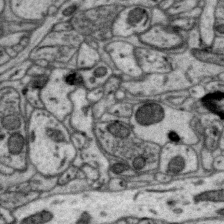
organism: Zebra finch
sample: Brain